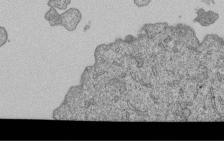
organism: Human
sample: MDA-MB-231 cells